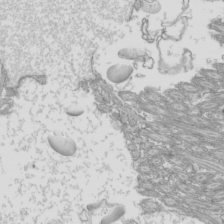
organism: Mouse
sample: Cilia; mouse epididymis